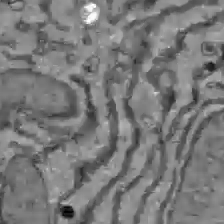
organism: C57BL Mouse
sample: Liver